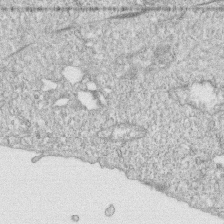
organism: Human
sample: HeLa cell HIV synapse